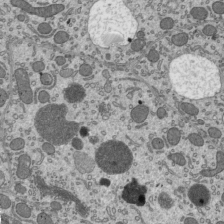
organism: Mouse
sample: Mouse epididymis efferent ductule cilia